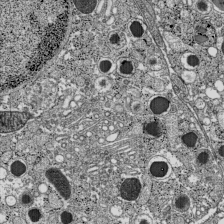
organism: C57BL Mouse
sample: Pancreatic islet